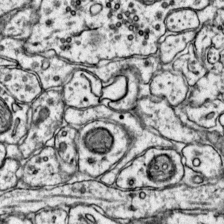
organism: Mouse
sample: Primary visual cortex